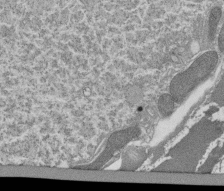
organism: Tetrahymena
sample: Cilia in tetrahymena